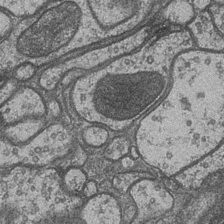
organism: Drosophila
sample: Optic medulla